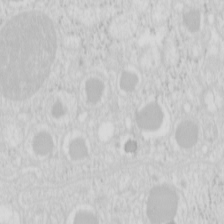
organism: Mouse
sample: Pancreas